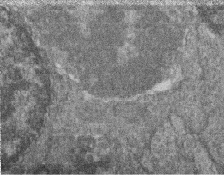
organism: Zebrafish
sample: Cilia; retinal pigment epithelium